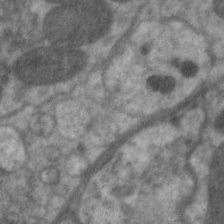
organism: C. elegans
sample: Pharynx